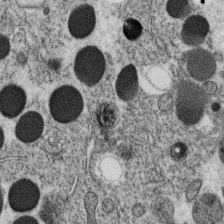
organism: C. elegans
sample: C. elegans oocyte; sperm cells